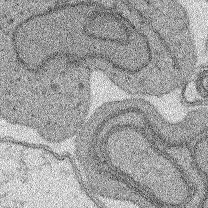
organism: Human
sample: HeLa cells